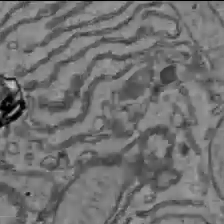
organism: C57BL Mouse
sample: Liver